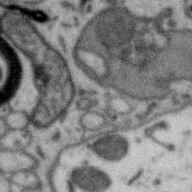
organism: Zebra finch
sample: Brain